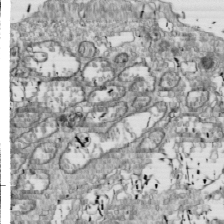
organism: Drosophila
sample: Cell division; meiosis; drosophila spermatocytes